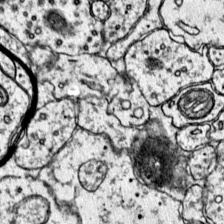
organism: Mouse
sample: Primary visual cortex